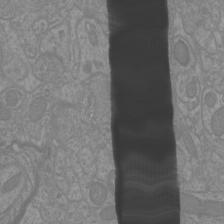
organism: Mouse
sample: Cortical neurons